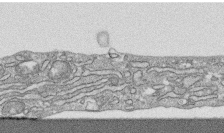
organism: Human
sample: CRL-1474